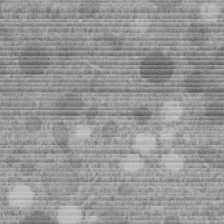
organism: C. elegans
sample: C. elegans embryo early stage